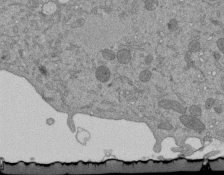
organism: Mouse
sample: ED-1 cell nuclei; centrioles